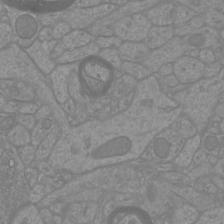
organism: Mouse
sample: Cortical neurons